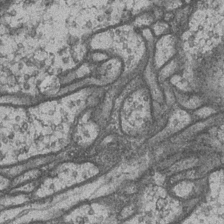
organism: Drosophila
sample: Optic medulla